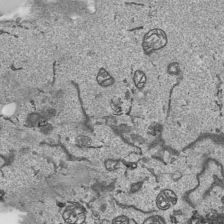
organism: Human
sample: Mitochondria in HCT116 cells